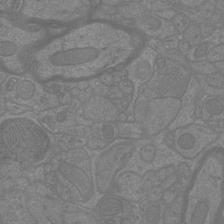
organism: Mouse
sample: Cortical neurons